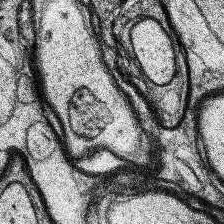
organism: Human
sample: Temporal Lobe